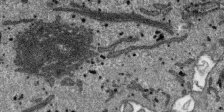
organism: Human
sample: Lung epithelial cells, uninfected (mock) control